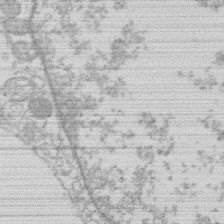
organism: Human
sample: Macrophage cells